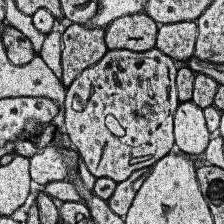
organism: Human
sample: Temporal Lobe